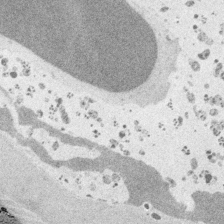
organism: Embia sp.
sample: Silk gland